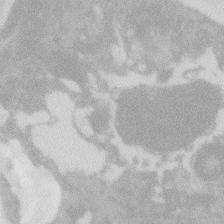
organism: Zebrafish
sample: Macrophage